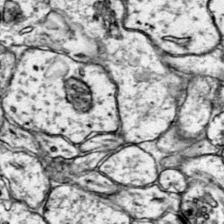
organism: Mouse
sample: Primary visual cortex